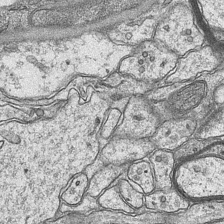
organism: Mouse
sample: CA1 Hippocampus